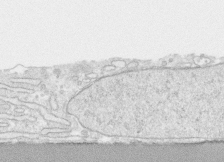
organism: Human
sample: CRL-1474